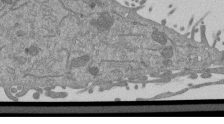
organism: Mouse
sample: ED-1 cell nuclei; centrioles